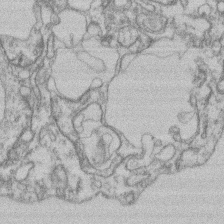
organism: Mouse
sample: T cell stromal cell synapse